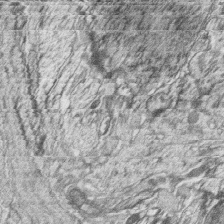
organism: Zebrafish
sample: synaptic ribbons in rod cells and cone cells